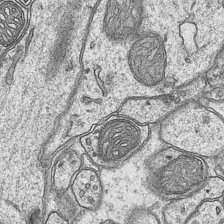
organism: Mouse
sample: CA1 Hippocampus